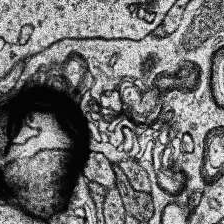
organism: Human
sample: Temporal Lobe